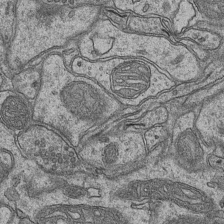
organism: Mouse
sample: CA1 Hippocampus